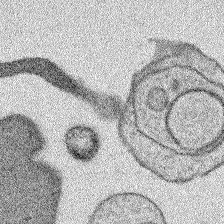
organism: Human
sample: HeLa cells